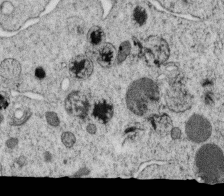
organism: C. elegans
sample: C. elegans oocyte; sperm cells